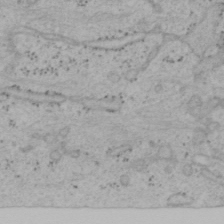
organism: Human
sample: HeLa cells